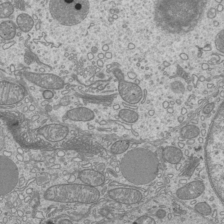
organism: Mouse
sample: Cilia; mouse epididymis